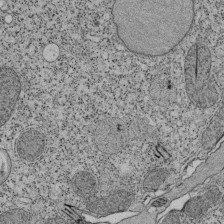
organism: Tetrahymena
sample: Cilia in tetrahymena